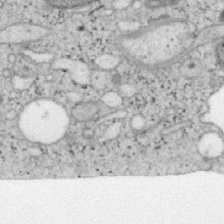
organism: Mouse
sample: OT-I killer T cells with ID8 ovarian cancer cells